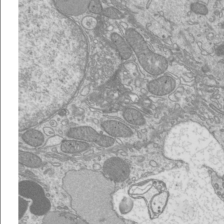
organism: Mouse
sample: Cilia; mouse epididymis